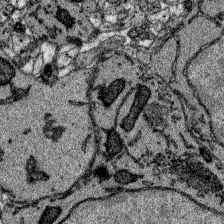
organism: Zebrafish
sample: Larval olfactory bulb